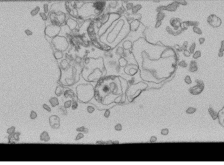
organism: Human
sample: Retinal organoid Rod and Cone cells